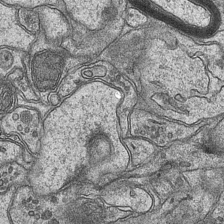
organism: Mouse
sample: CA1 Hippocampus